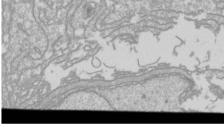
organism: Drosophila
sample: Cell division; meiosis; drosophila spermatocytes